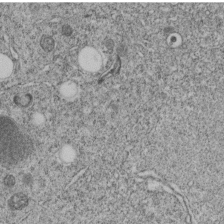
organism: C. elegans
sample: C. elegans embryo early stage